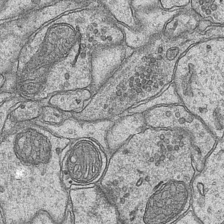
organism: Mouse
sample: CA1 Hippocampus